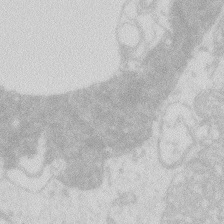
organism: Zebrafish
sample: Macrophage